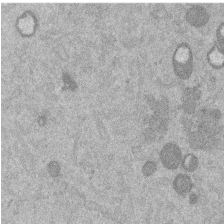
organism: Mouse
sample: Dividing mouse embryo 1 cell stage